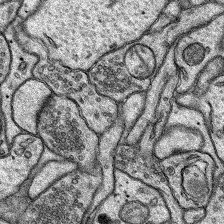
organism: Rat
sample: Hippocampus